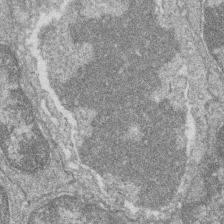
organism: Zebrafish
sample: Cilia; retinal pigment epithelium